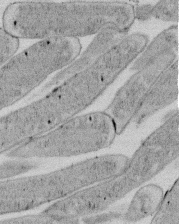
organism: E. coli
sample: Bacterial nucleoid